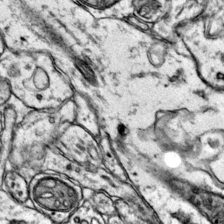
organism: Mouse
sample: Primary visual cortex